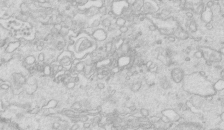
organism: Mouse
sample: Multiciliated cells